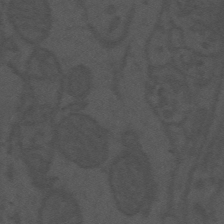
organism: Mouse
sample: Suprachiasmatic nucleus